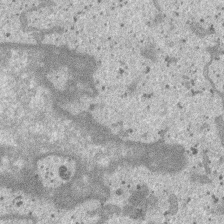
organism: Human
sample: Lung epithelial cells infected with SARS-CoV-2